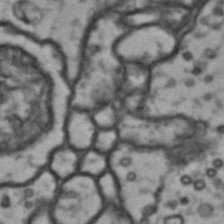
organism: Drosophila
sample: Brain